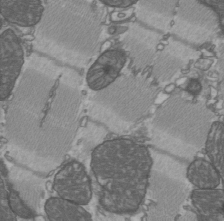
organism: C57BL Mouse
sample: Heart